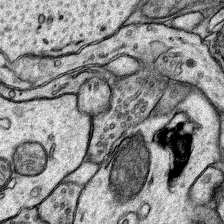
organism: Rat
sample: Hippocampus